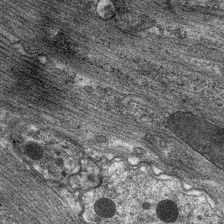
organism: C. elegans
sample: Pharynx